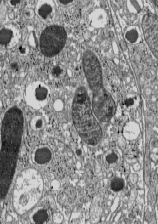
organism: C57BL Mouse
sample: Pancreatic islet